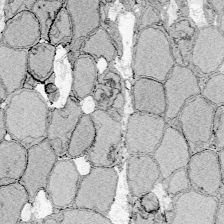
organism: Zebrafish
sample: Whole-Brain